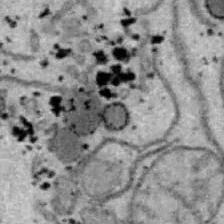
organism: Mouse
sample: Liver from an obese (ob/ob) mouse